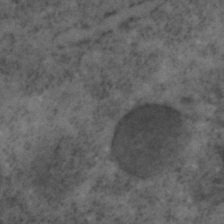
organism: C. elegans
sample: C. elegans embryo